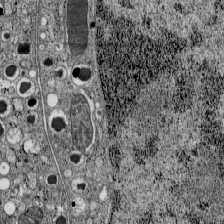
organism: C57BL Mouse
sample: Pancreatic islet